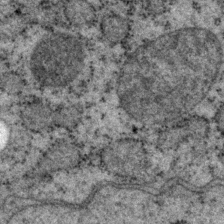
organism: P. pacificus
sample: Pharynx